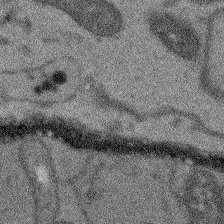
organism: Arabidopsis thaliana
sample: Root tip